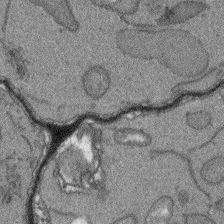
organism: Arabidopsis thaliana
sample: Root tip